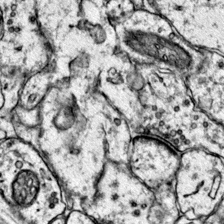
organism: Mouse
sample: Primary visual cortex